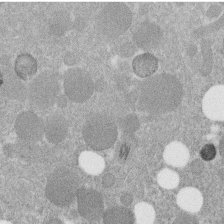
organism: C. elegans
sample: C. elegans embryo early stage